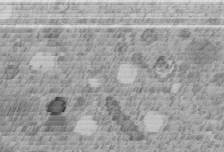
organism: C. elegans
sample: C. elegans embryo early stage